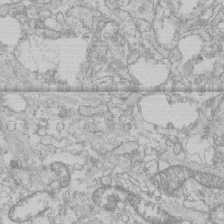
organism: Human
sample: CRL-1474